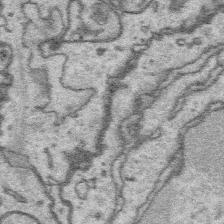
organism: Platynereis dumerilii